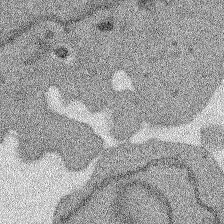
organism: Human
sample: HeLa cells